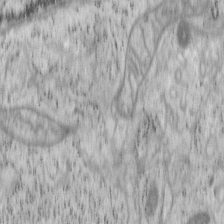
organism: Human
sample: HeLa cells